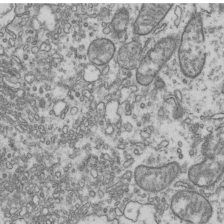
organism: Human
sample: Activated Jurkat CD4+ T cells